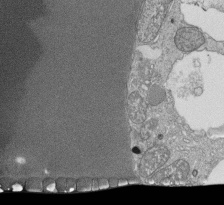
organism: Tetrahymena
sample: Cilia in tetrahymena